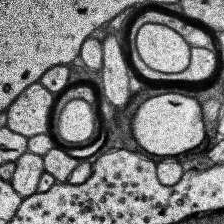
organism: Human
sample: Temporal Lobe